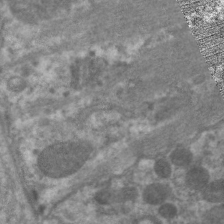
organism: C. elegans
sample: Pharynx